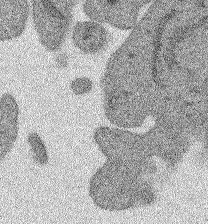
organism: Human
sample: HeLa cells